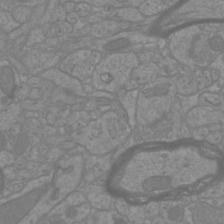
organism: Mouse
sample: Cortical neurons